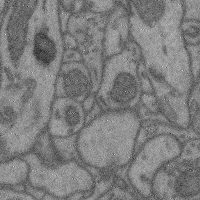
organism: Mouse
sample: Cerebral cortex